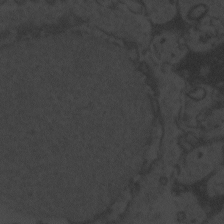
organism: Zebrafish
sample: Macrophage infected with Toxoplasma gondii